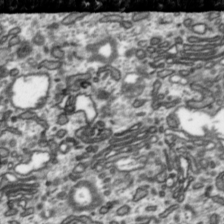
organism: Toxoplasma gondii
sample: Parasites in a vacuole inside a host cell